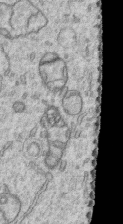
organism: Human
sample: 1205lu cells